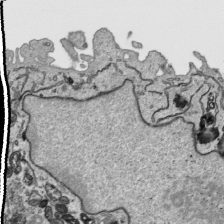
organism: Human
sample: Mitochondria in HCT116 cells